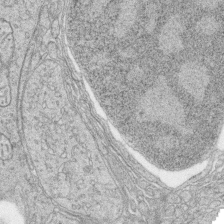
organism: Zebrafish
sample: synaptic ribbons in rod cells and cone cells